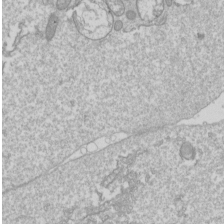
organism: Drosophila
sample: Cell division; meiosis; drosophila spermatocytes